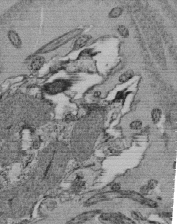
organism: Tetrahymena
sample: Cilia in tetrahymena